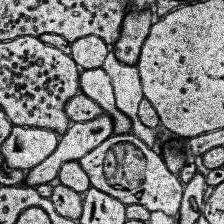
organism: Human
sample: Temporal Lobe